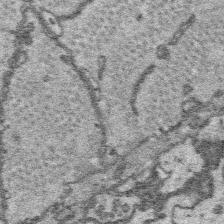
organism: Platynereis dumerilii